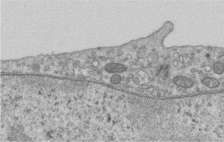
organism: Human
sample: Centriole in RPE cells